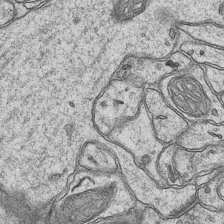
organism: Mouse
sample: CA1 Hippocampus